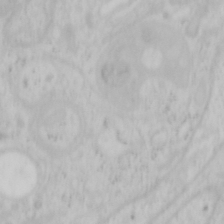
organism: Mouse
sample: OT-I killer T cells with ID8 ovarian cancer cells